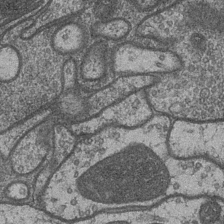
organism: Drosophila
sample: Optic medulla